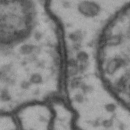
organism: Drosophila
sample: Brain